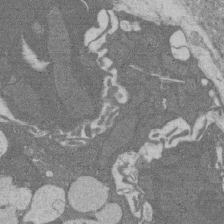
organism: Rat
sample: Salivary granule